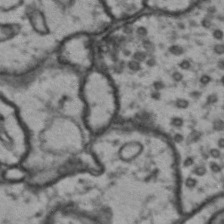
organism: Drosophila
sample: Brain